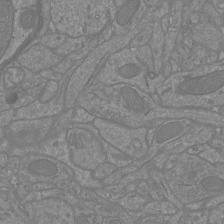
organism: Mouse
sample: Cortical neurons